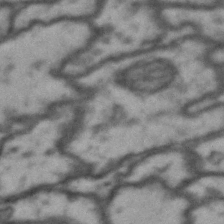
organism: Drosophila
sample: Brain